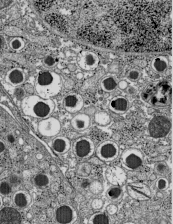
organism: C57BL Mouse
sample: Pancreatic islet